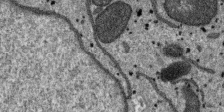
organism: Human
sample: Lung epithelial cells, uninfected (mock) control